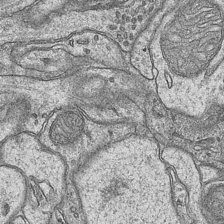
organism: Mouse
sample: CA1 Hippocampus